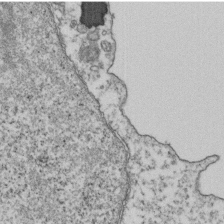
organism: Human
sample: Activated Jurkat CD4+ T cells